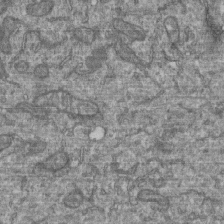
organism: Human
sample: Retinal organoid Rod and Cone cells